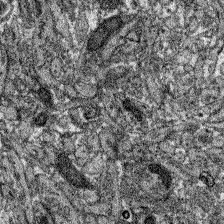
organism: Zebrafish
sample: Larval olfactory bulb